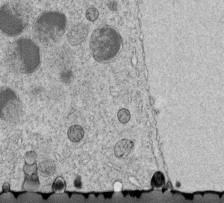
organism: C. elegans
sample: C. elegans embryo early stage